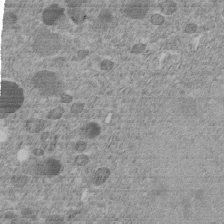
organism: C. elegans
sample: C. elegans embryo early stage